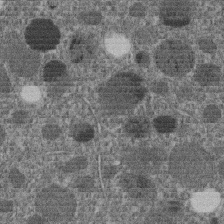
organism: C. elegans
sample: C. elegans embryo early stage